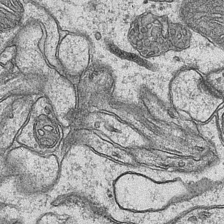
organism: Mouse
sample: CA1 Hippocampus